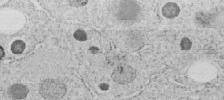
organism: C. elegans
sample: C. elegans embryo early stage